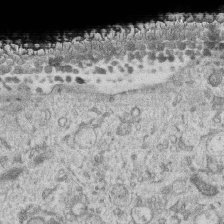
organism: Human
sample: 1205lu cells